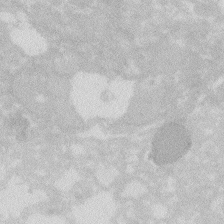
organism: Zebrafish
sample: Macrophage